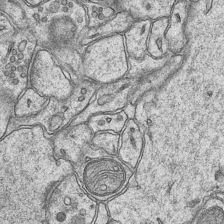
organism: Mouse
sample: CA1 Hippocampus